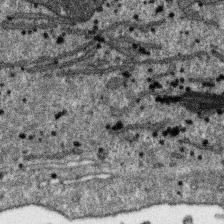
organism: Human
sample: Lung epithelial cells infected with SARS-CoV-2